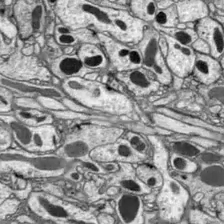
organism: Drosophila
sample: Optic lobe